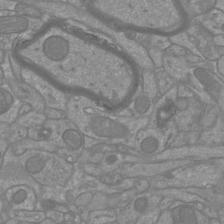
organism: Mouse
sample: Cortical neurons